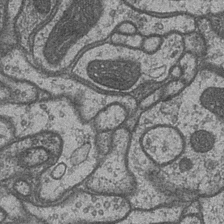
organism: Drosophila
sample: Optic medulla